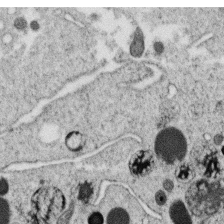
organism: C. elegans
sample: C. elegans oocyte; sperm cells